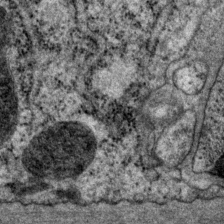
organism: P. pacificus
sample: Pharynx